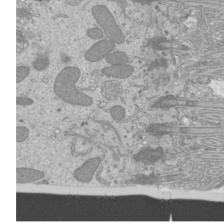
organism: Mouse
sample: Cilia; mouse epididymis